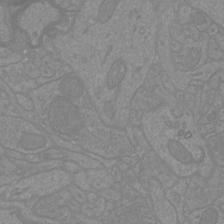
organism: Mouse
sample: Cortical neurons